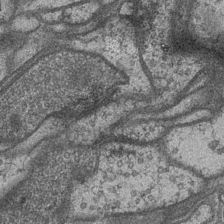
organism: Drosophila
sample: Optic medulla